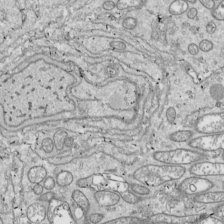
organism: Drosophila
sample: Cell division; meiosis; drosophila spermatocytes